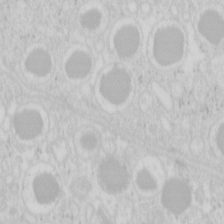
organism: Mouse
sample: Pancreas